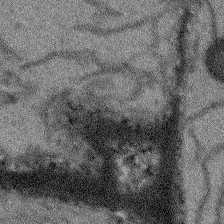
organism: Arabidopsis thaliana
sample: Root tip